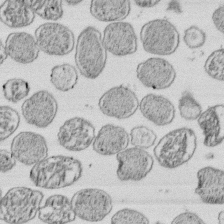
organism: E. coli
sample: Bacterial nucleoid